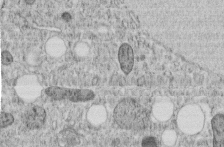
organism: C. elegans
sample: C. elegans embryo early stage